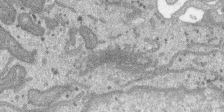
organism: Human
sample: Lung epithelial cells infected with SARS-CoV-2